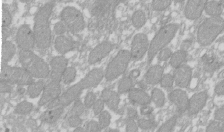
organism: Xenopus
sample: Cilia; centrioles in frog embryo cells